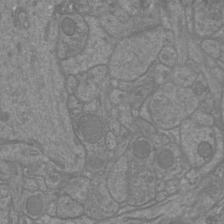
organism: Mouse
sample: Cortical neurons